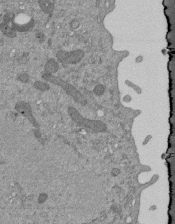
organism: Mouse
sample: ED-1 cell nuclei; centrioles